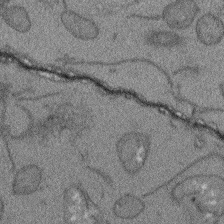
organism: Arabidopsis thaliana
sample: Root tip